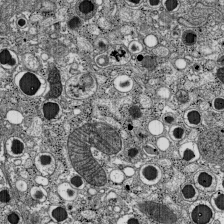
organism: C57BL Mouse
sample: Pancreatic islet